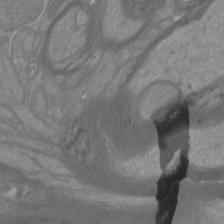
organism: Mouse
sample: Cortical neurons